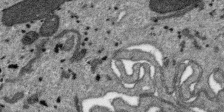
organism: Human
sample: Lung epithelial cells, uninfected (mock) control